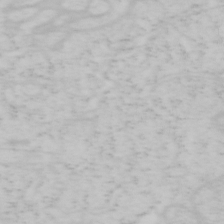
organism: Mouse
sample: OT-I killer T cells with ID8 ovarian cancer cells